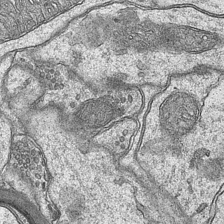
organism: Mouse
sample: CA1 Hippocampus